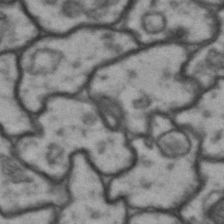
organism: Drosophila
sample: Brain